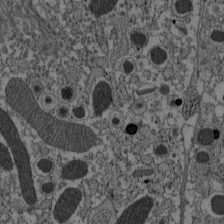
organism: C57BL Mouse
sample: Pancreatic islet